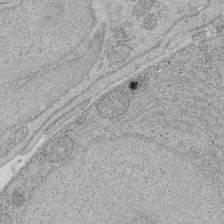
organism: Rat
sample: Salivary granule